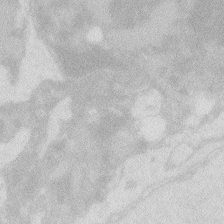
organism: Zebrafish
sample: Macrophage